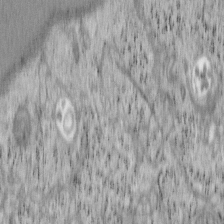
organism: Human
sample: HeLa cells